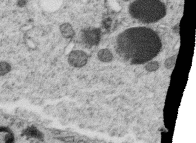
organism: C. elegans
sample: C. elegans oocyte; sperm cells